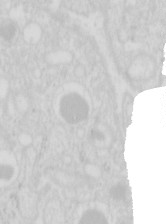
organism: Mouse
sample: Pancreas